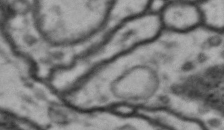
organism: Drosophila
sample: Brain